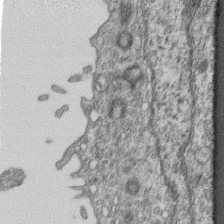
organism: Mouse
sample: Centriole in ependymal cells